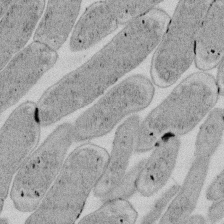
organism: E. coli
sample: Bacterial nucleoid